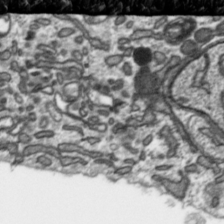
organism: Toxoplasma gondii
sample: Parasites in a vacuole inside a host cell